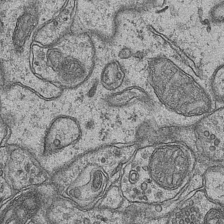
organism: Mouse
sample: CA1 Hippocampus